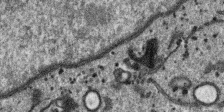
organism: Human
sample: Lung epithelial cells infected with SARS-CoV-2